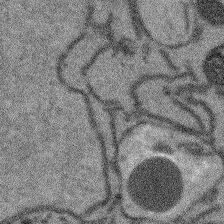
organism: Arabidopsis thaliana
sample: Root tip